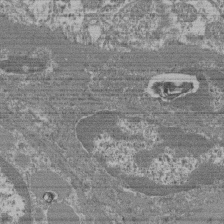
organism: Mouse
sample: Glomerulus